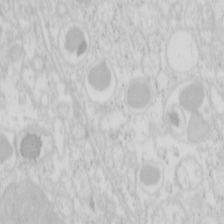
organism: Mouse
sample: Pancreas